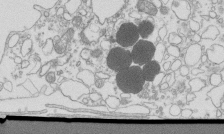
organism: Mouse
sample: Macrophages